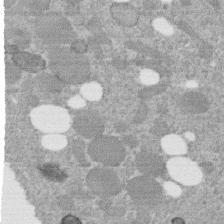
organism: C. elegans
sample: C. elegans embryo early stage